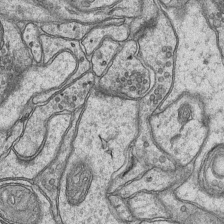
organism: Mouse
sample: CA1 Hippocampus